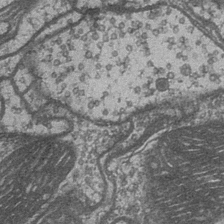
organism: Drosophila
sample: Optic medulla